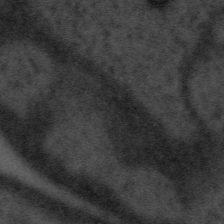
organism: Tuwongella immobilis